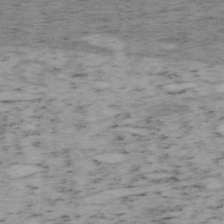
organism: Mouse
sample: OT-I killer T cells with ID8 ovarian cancer cells